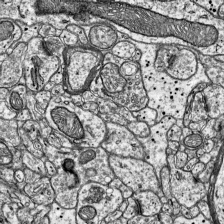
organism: Mouse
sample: Visual Cortex